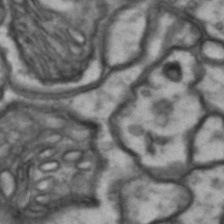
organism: Drosophila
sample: Brain